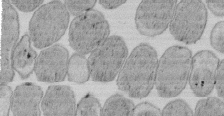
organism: E. coli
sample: Bacterial nucleoid